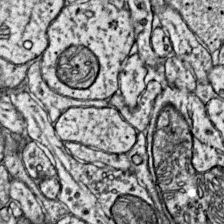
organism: Mouse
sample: Primary visual cortex